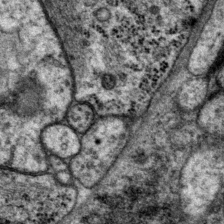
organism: P. pacificus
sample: Pharynx